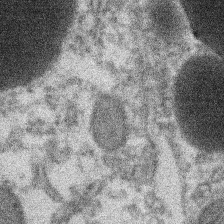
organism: Xenopus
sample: Cilia; centrioles in frog embryo cells